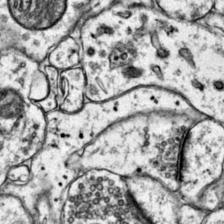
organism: Mouse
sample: Primary visual cortex